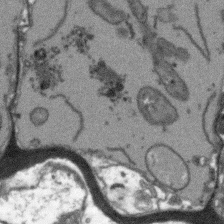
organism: Arabidopsis thaliana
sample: Root tip